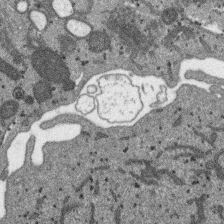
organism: Human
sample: Lung epithelial cells infected with SARS-CoV-2